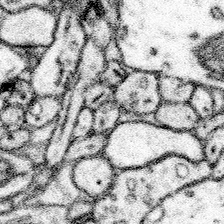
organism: Mouse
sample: Somatosensory cortex neuropil